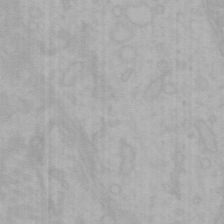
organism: Mouse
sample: Choroid plexus